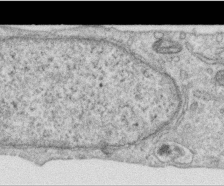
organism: Human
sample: Centriole in RPE cells